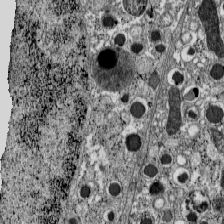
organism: C57BL Mouse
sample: Pancreatic islet